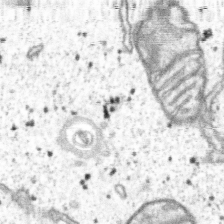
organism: Human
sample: HeLa cells